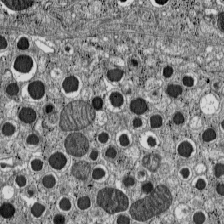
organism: C57BL Mouse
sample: Pancreatic islet